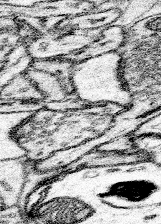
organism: Mouse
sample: Somatosensory cortex neuropil